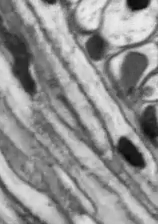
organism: Drosophila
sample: Optic lobe